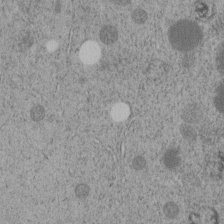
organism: C. elegans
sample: C. elegans embryo early stage